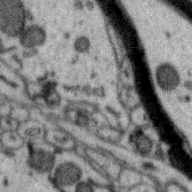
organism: Zebra finch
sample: Brain